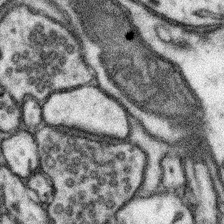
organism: Mouse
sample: Somatosensory cortex neuropil